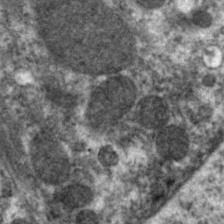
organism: C. elegans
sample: Pharynx